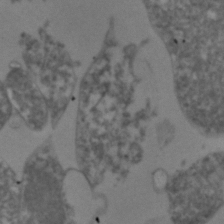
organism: Zebrafish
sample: Zebrafish embryo